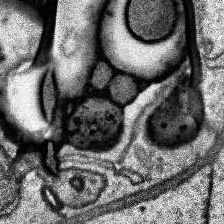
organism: Human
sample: Temporal Lobe